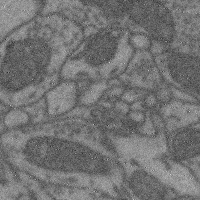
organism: Mouse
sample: Cerebral cortex